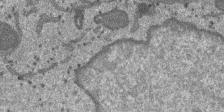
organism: Human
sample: Lung epithelial cells infected with SARS-CoV-2